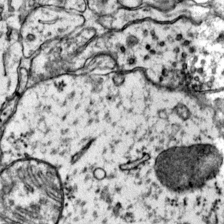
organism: Mouse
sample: Primary visual cortex